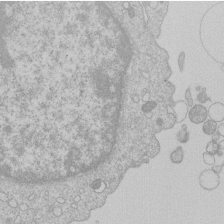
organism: Human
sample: Macrophage cells